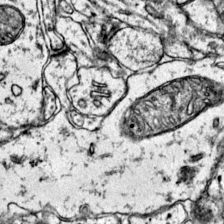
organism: Mouse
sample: Primary visual cortex